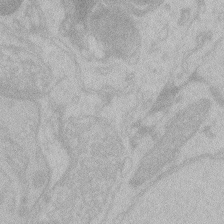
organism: Zebrafish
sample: Macrophage infected with Toxoplasma gondii